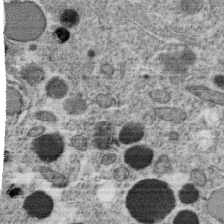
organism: C. elegans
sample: C. elegans oocyte; sperm cells